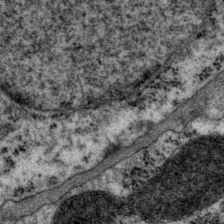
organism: P. pacificus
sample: Pharynx